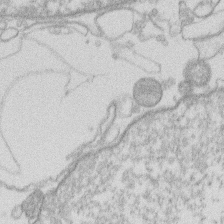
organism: Human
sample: Macrophage cells